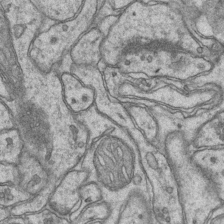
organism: Mouse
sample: CA1 Hippocampus